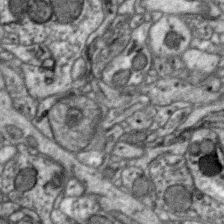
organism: Zebra finch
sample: Brain